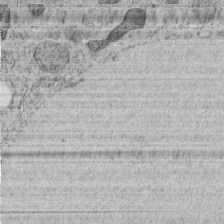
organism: C. elegans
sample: C. elegans embryo early stage